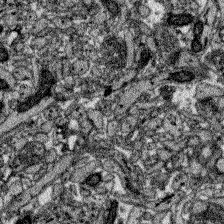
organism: Zebrafish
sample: Larval olfactory bulb